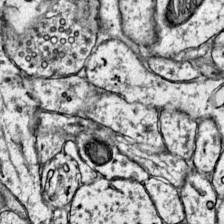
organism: Mouse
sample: Primary visual cortex